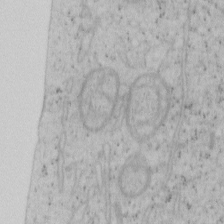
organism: Human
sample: HeLa cells